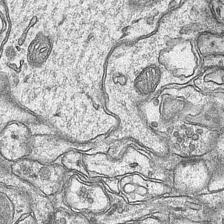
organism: Mouse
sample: CA1 Hippocampus